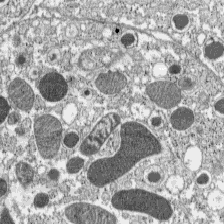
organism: C57BL Mouse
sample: Pancreatic islet